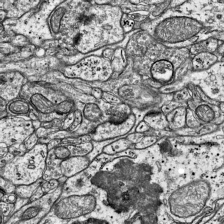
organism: Mouse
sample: Visual Cortex